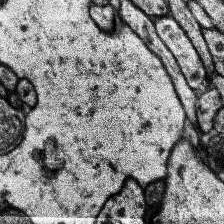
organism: Human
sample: Temporal Lobe